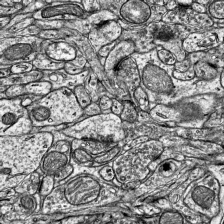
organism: Mouse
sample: Visual Cortex